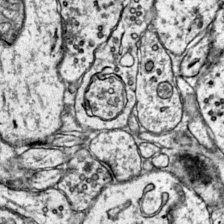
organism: Mouse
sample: Primary visual cortex